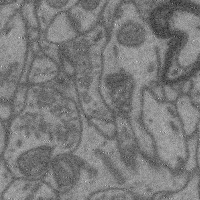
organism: Mouse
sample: Cerebral cortex